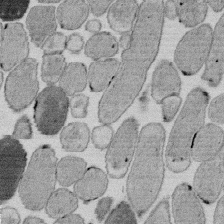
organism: E. coli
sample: Bacterial nucleoid